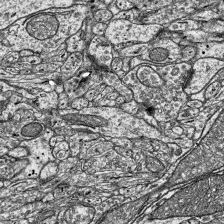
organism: Mouse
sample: Visual Cortex